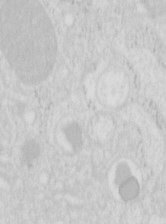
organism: Mouse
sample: Pancreas